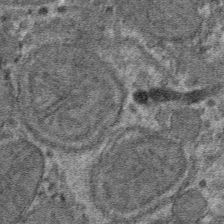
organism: Mouse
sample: Mouse hepatocytes